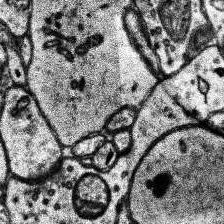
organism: Human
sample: Temporal Lobe